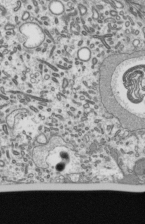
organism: Mouse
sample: Mouse epididymis efferent ductule cilia